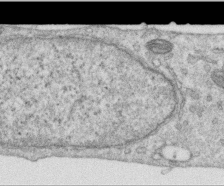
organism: Human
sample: Centriole in RPE cells